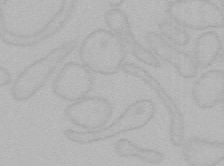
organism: Mouse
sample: Choroid plexus